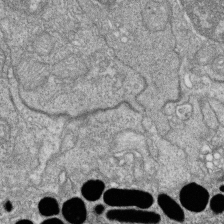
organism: Zebrafish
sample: Cilia; retinal pigment epithelium